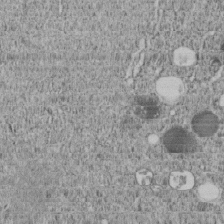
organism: C. elegans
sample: C. elegans embryo early stage